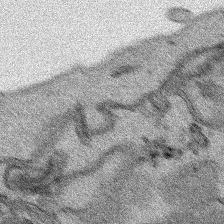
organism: Human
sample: Mitochondria in HCT116 cells